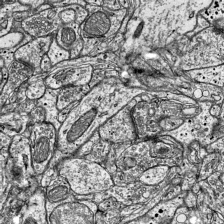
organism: Mouse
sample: Visual Cortex